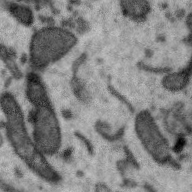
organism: Zebra finch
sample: Brain